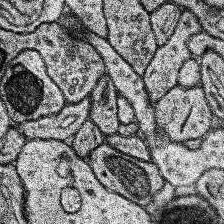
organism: Human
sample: Temporal Lobe